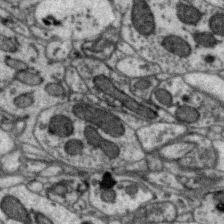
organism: Zebra finch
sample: Brain